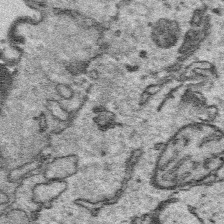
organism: Platynereis dumerilii